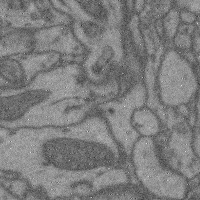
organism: Mouse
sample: Cerebral cortex